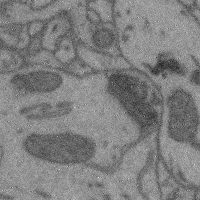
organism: Mouse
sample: Cerebral cortex